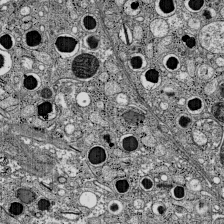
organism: C57BL Mouse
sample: Pancreatic islet